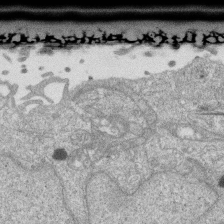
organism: Human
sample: HeLa cell HIV synapse